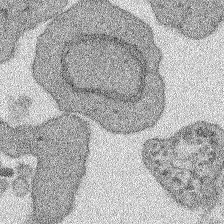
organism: Human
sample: HeLa cells